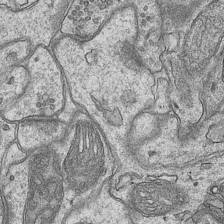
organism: Mouse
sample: CA1 Hippocampus